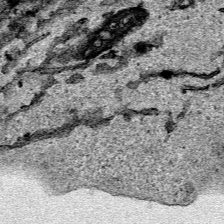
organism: Human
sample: Mitochondria in HCT116 cells